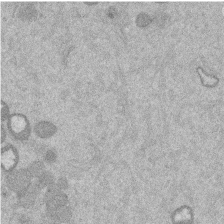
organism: Mouse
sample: Dividing mouse embryo 1 cell stage